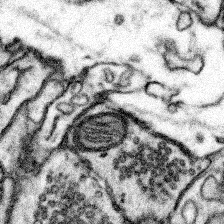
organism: Mouse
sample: Somatosensory cortex neuropil